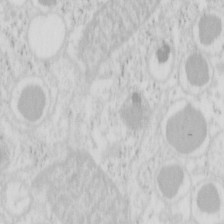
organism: Mouse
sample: Pancreas